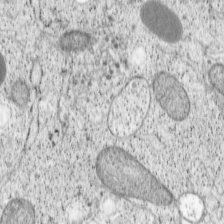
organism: African green monkey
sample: COS-7 cells